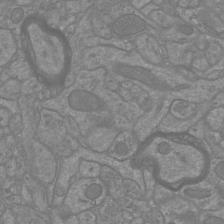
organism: Mouse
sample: Cortical neurons